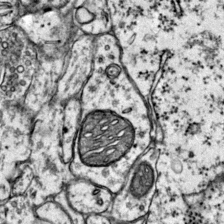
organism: Mouse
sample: Primary visual cortex